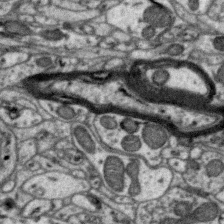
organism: Zebra finch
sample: Brain